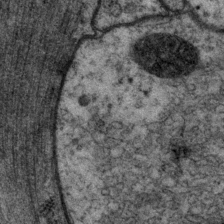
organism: P. pacificus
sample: Pharynx